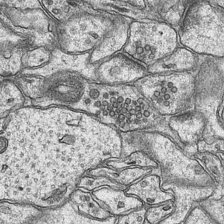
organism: Mouse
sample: CA1 Hippocampus